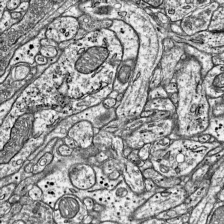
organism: Mouse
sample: Visual Cortex